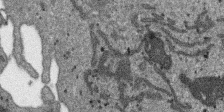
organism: Human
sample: Lung epithelial cells infected with SARS-CoV-2